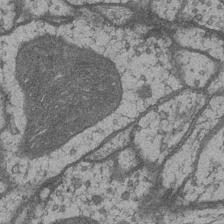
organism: Drosophila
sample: Optic medulla